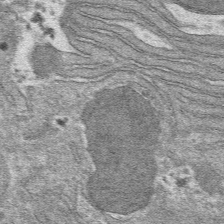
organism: Mouse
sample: Mouse hepatocytes